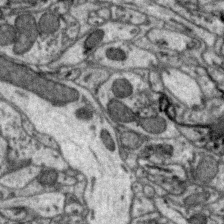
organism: Zebra finch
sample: Brain